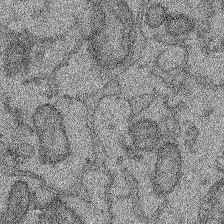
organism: Human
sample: HeLa cells